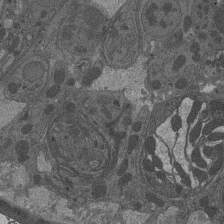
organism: Drosophila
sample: Antenna